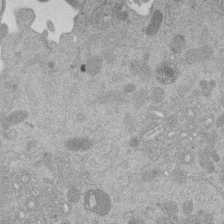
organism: Mouse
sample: Dividing mouse embryo 1 cell stage